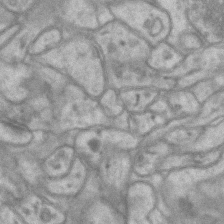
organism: Mouse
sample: CA1 Hippocampus